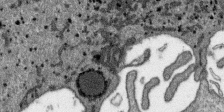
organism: Human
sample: Lung epithelial cells, uninfected (mock) control